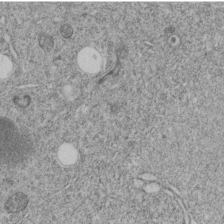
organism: C. elegans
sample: C. elegans embryo early stage